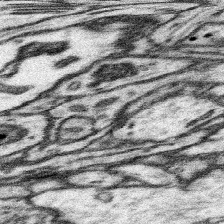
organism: Mouse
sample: Somatosensory cortex neuropil